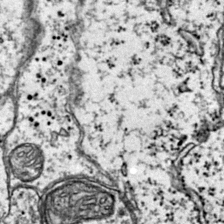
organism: Mouse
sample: Primary visual cortex